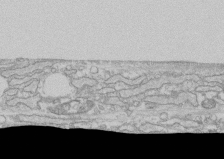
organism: Human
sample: CRL-1474